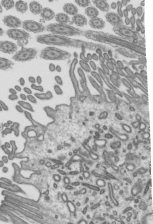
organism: Mouse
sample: Mouse epididymis efferent ductule cilia